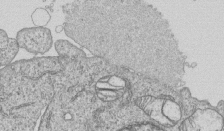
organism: Human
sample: MDA-MB-231 cells